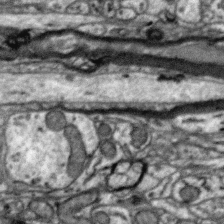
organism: Zebra finch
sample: Brain